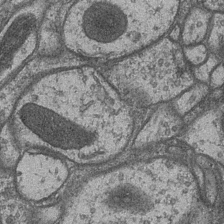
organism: Drosophila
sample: Optic medulla